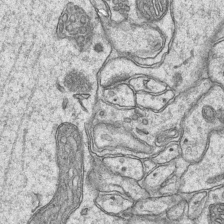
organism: Mouse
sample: CA1 Hippocampus